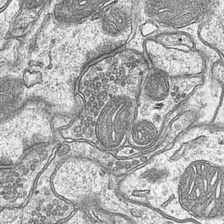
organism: Mouse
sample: CA1 Hippocampus